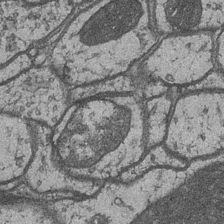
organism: Drosophila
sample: Optic medulla